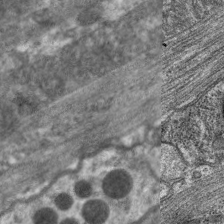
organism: C. elegans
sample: Pharynx